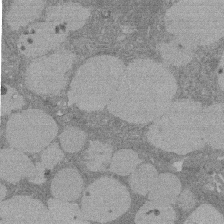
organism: Rat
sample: Salivary granule